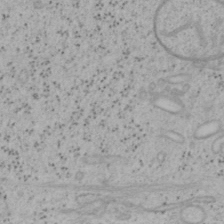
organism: Human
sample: HeLa cells